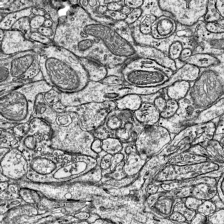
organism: Mouse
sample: Visual Cortex